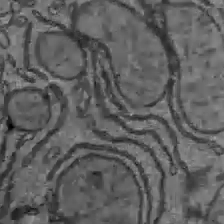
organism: C57BL Mouse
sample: Liver